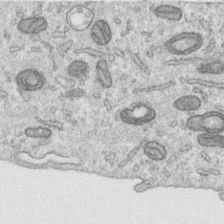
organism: Human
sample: Centriole in RPE cells